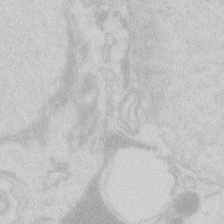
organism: Zebrafish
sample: Macrophage